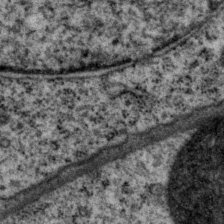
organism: P. pacificus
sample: Pharynx